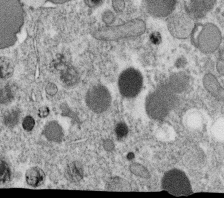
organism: C. elegans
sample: C. elegans oocyte; sperm cells